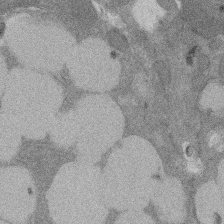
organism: Rat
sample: Salivary granule